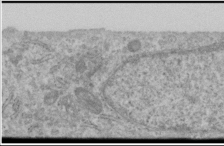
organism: Human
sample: Cilia; basal body in RPE cells